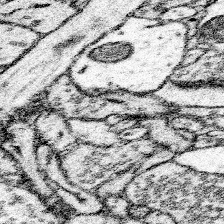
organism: Mouse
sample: Somatosensory cortex neuropil